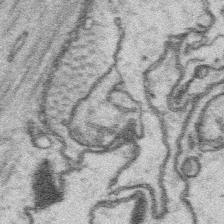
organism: Platynereis dumerilii